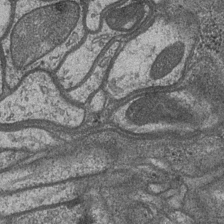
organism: Drosophila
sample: Optic medulla